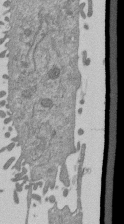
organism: Mouse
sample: ED-1 cell nuclei; centrioles